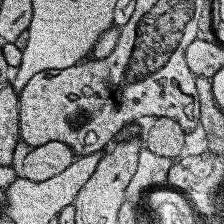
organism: Human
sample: Temporal Lobe